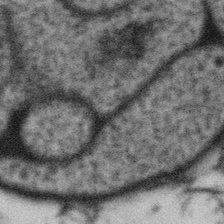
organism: Gemmata obscuriglobus